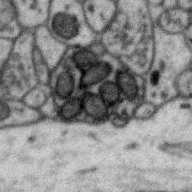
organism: Zebra finch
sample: Brain